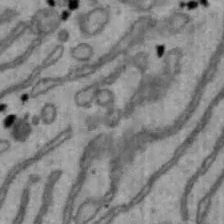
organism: Mouse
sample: Liver